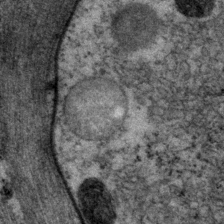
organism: P. pacificus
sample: Pharynx